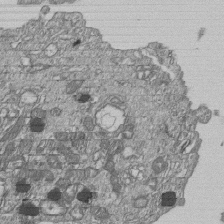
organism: Human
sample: MDA-MB-231 cells